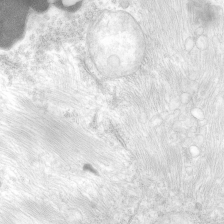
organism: Human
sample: Neocortex